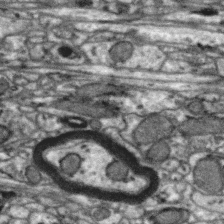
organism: Zebra finch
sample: Brain